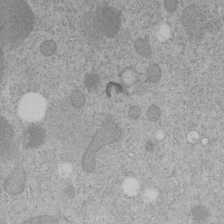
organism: C. elegans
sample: C. elegans embryo early stage